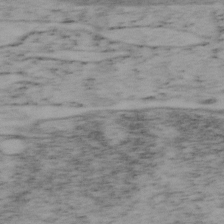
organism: Mouse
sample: OT-I killer T cells with ID8 ovarian cancer cells